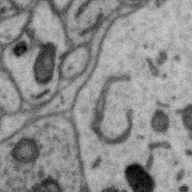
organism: Zebra finch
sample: Brain